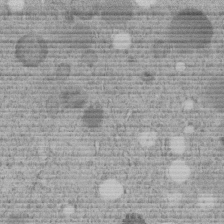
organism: C. elegans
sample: C. elegans embryo early stage